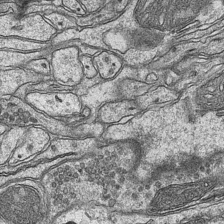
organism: Mouse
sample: CA1 Hippocampus